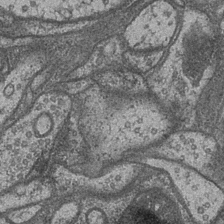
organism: Drosophila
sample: Optic medulla